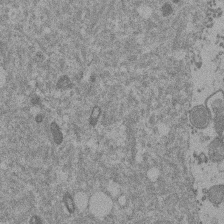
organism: Mouse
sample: Dividing mouse embryo 1 cell stage